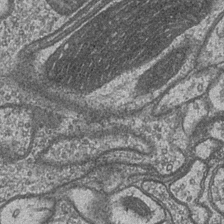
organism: Drosophila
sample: Optic medulla